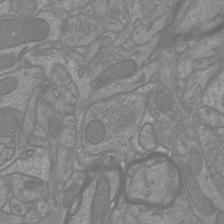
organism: Mouse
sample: Cortical neurons